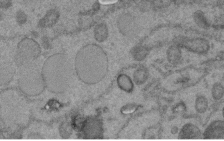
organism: C. elegans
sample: C. elegans embryo early stage